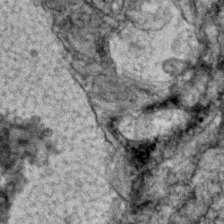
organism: Zebrafish